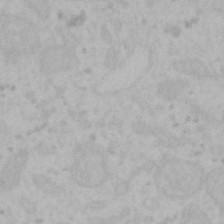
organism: Mouse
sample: Choroid plexus